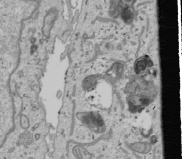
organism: Human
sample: Mitochondria in U2OS cells